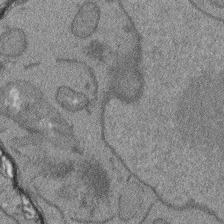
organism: Arabidopsis thaliana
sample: Root tip